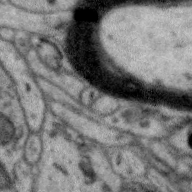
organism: Zebra finch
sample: Brain